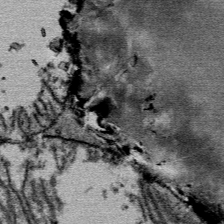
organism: Mouse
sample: Mouse Salivary gland